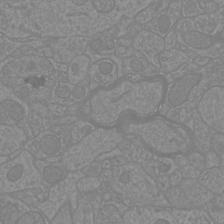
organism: Mouse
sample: Cortical neurons